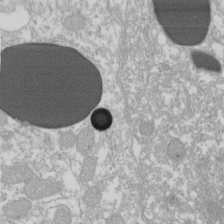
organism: Xenopus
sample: Cilia; centrioles in frog embryo cells